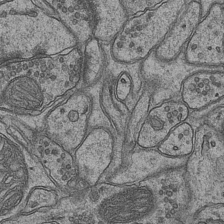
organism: Mouse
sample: CA1 Hippocampus